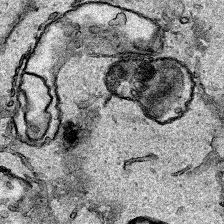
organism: Human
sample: Mitochondria in HCT116 cells